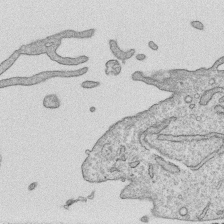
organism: Human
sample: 1205lu cells